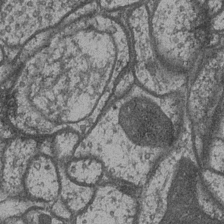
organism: Drosophila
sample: Optic medulla